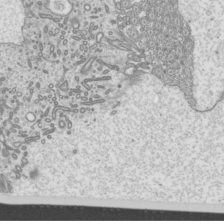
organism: Mouse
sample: Cilia; mouse epididymis